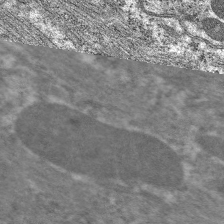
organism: C. elegans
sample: Pharynx